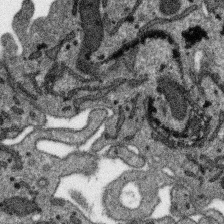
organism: Human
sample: Lung epithelial cells infected with SARS-CoV-2